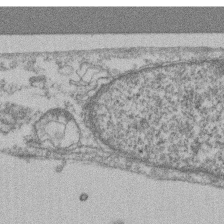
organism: Mouse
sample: T cell stromal cell synapse